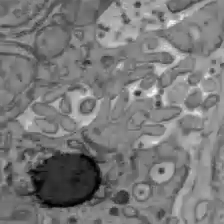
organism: C57BL Mouse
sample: Liver